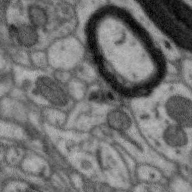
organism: Zebra finch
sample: Brain